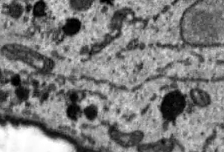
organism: Human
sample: HeLa cells